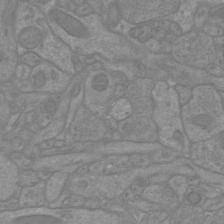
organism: Mouse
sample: Cortical neurons